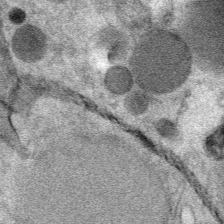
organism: Mouse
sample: Mouse Salivary gland